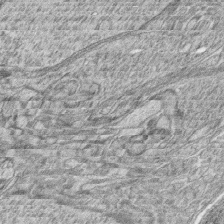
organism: Zebrafish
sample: synaptic ribbons in rod cells and cone cells